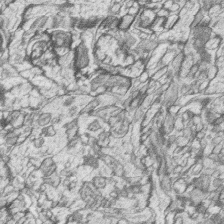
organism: Zebrafish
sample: synaptic ribbons in rod cells and cone cells